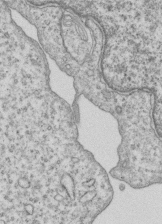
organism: Human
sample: MDA-MB-231 cells